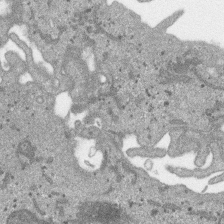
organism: Human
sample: Lung epithelial cells infected with SARS-CoV-2